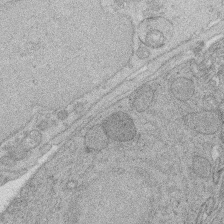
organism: Rat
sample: Salivary granule